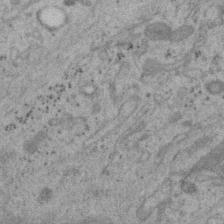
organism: Human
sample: HeLa cells